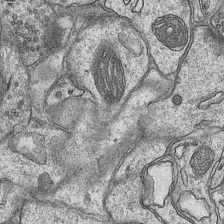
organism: Mouse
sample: CA1 Hippocampus